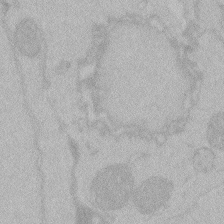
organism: Zebrafish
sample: Macrophage infected with Toxoplasma gondii